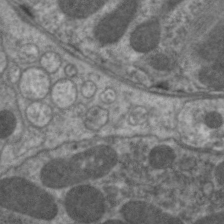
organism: C. elegans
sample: Pharynx